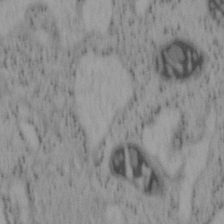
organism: Mouse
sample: OT-I killer T cells with ID8 ovarian cancer cells